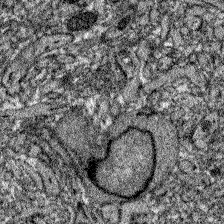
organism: Zebrafish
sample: Larval olfactory bulb